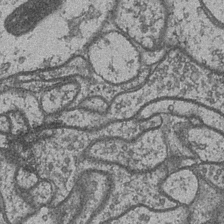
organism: Drosophila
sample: Optic medulla